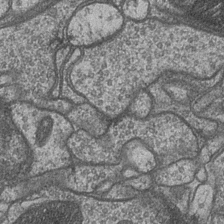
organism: Drosophila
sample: Optic medulla